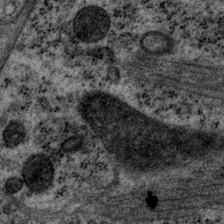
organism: P. pacificus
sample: Pharynx